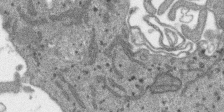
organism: Human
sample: Lung epithelial cells infected with SARS-CoV-2